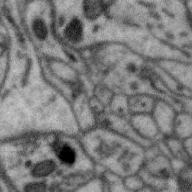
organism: Zebra finch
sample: Brain